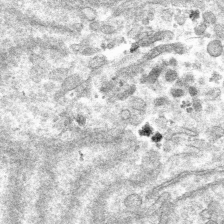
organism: Mouse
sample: Mouse hepatocytes